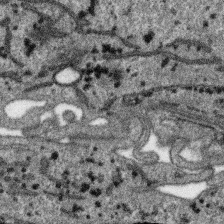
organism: Human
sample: Lung epithelial cells infected with SARS-CoV-2